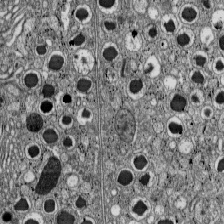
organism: C57BL Mouse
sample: Pancreatic islet